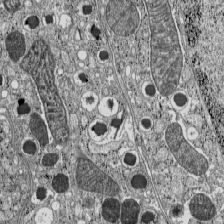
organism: C57BL Mouse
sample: Pancreatic islet